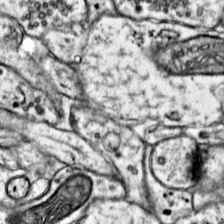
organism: Mouse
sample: Primary visual cortex